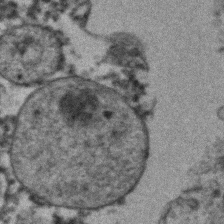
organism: Human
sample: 1205lu cells